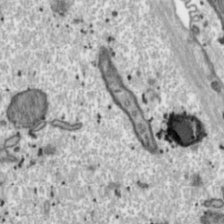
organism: Toxoplasma gondii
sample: Parasites in a vacuole inside a host cell